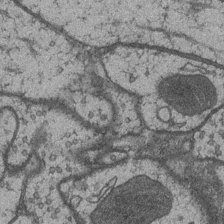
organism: Drosophila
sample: Optic medulla